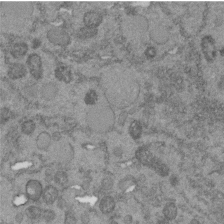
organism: C. elegans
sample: C. elegans embryo early stage